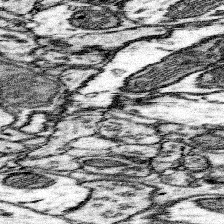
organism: Mouse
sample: Somatosensory cortex neuropil